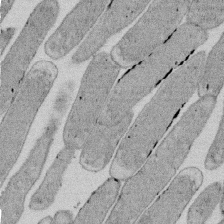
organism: E. coli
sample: Bacterial nucleoid